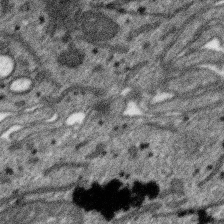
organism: Human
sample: Lung epithelial cells infected with SARS-CoV-2